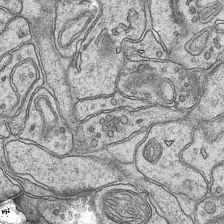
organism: Mouse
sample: CA1 Hippocampus